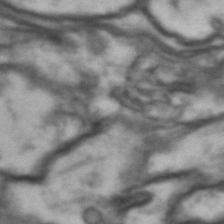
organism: Drosophila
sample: Brain